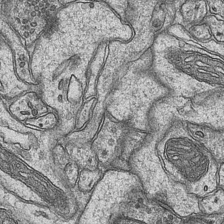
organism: Mouse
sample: CA1 Hippocampus